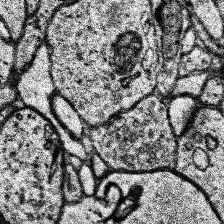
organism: Human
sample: Temporal Lobe